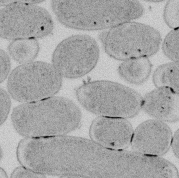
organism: E. coli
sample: Bacterial nucleoid